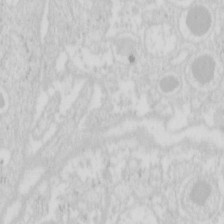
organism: Mouse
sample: Pancreas